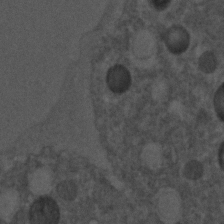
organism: C. elegans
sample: C. elegans embryo